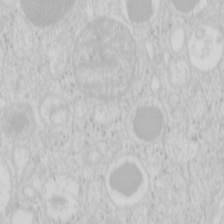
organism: Mouse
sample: Pancreas